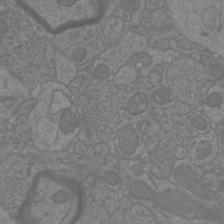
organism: Mouse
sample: Cortical neurons